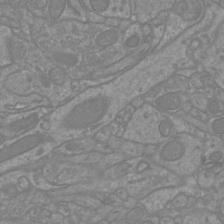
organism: Mouse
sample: Cortical neurons